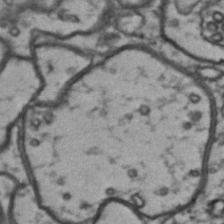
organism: Drosophila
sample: Brain